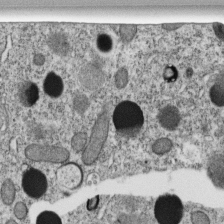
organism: C. elegans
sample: C. elegans embryo early stage